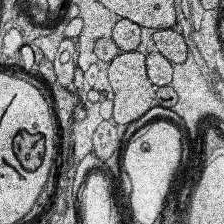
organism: Human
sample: Temporal Lobe